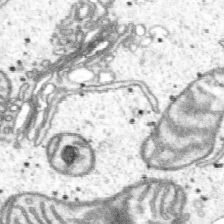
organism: Human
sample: HeLa cells